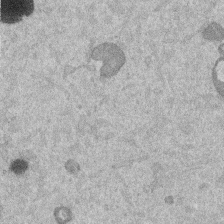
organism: Mouse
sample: Dividing mouse embryo 1 cell stage